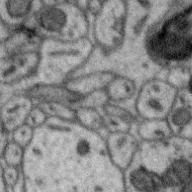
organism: Zebra finch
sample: Brain